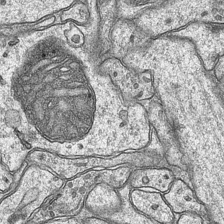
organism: Mouse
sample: CA1 Hippocampus